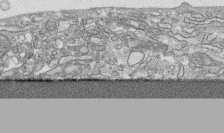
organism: Human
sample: CRL-1474